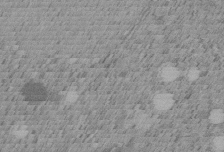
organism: C. elegans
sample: C. elegans embryo early stage